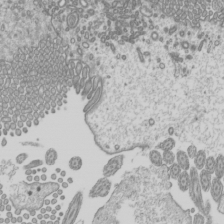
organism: Mouse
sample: Cilia; mouse epididymis